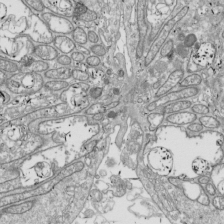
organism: Drosophila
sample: Cell division; meiosis; drosophila spermatocytes